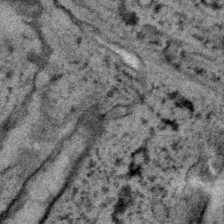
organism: C. elegans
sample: C. elegans embryo